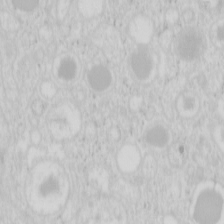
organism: Mouse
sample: Pancreas